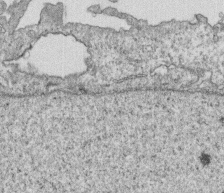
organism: Human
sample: HeLa cell HIV synapse